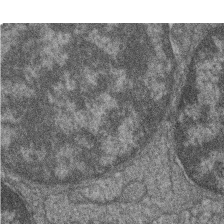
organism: Zebrafish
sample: Cilia; retinal pigment epithelium